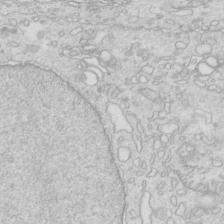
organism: Mouse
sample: Multiciliated cells